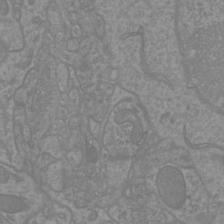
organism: Mouse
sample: Cortical neurons